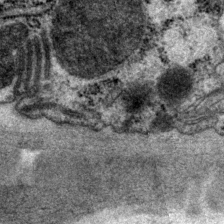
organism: P. pacificus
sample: Pharynx